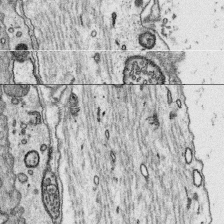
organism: Platynereis dumerilii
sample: Parapodia